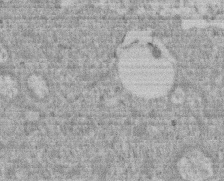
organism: Mouse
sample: Dividing mouse embryo 1 cell stage